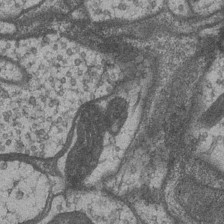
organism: Drosophila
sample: Optic medulla